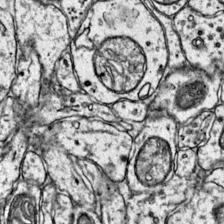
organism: Mouse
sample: Primary visual cortex